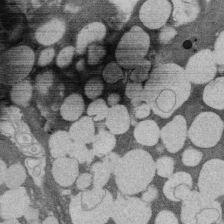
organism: Rat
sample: Salivary granule